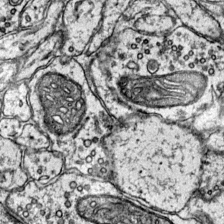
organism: Mouse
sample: Primary visual cortex